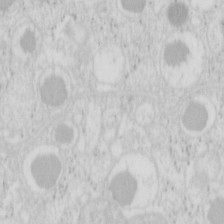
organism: Mouse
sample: Pancreas